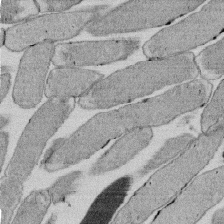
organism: E. coli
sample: Bacterial nucleoid